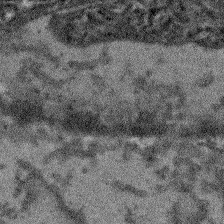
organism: Arabidopsis thaliana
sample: Root tip